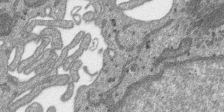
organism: Human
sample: Lung epithelial cells infected with SARS-CoV-2